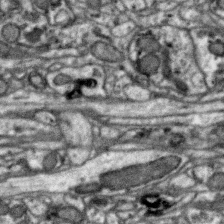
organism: Zebra finch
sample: Brain